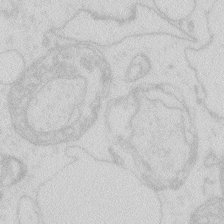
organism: Zebrafish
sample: Macrophage